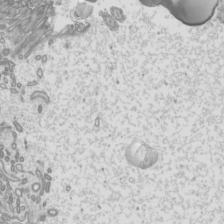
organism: Mouse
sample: Cilia; mouse epididymis